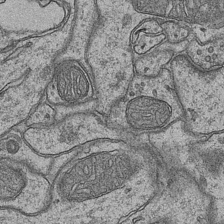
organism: Mouse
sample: CA1 Hippocampus